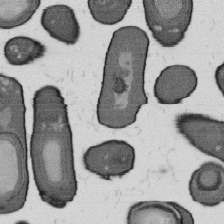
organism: B. subtilis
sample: Bacterial spore